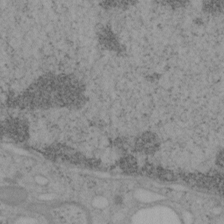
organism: Mouse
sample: OT-I killer T cells with ID8 ovarian cancer cells